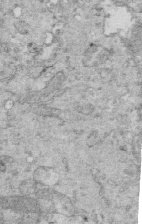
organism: Mouse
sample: Multiciliated cells